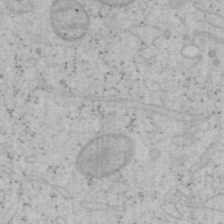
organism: Human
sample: HeLa cells